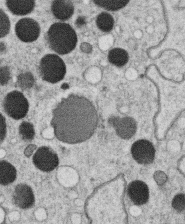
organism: C. elegans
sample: C. elegans oocyte; sperm cells